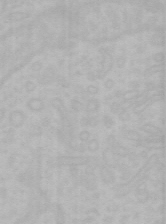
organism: Mouse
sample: Choroid plexus